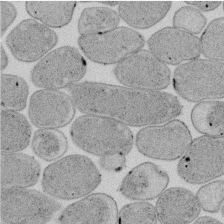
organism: E. coli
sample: Bacterial nucleoid